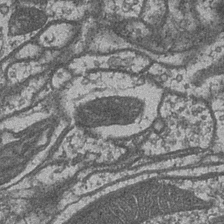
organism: Drosophila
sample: Optic medulla